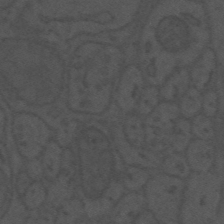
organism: Mouse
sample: Suprachiasmatic nucleus